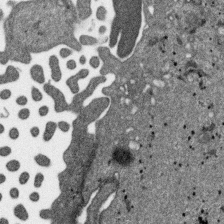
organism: Human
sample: Lung epithelial cells, uninfected (mock) control